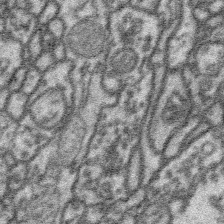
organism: Platynereis dumerilii